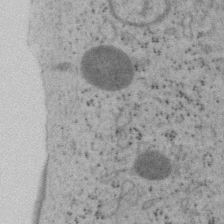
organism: Human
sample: HeLa cells